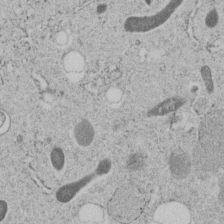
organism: C. elegans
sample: C. elegans embryo early stage